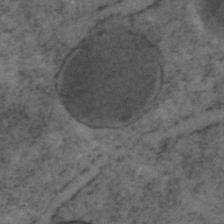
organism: C. elegans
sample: C. elegans embryo